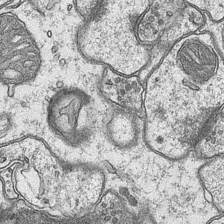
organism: Mouse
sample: CA1 Hippocampus